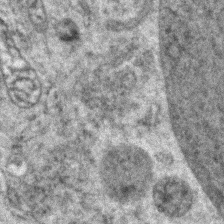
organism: Zebrafish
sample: Zebrafish embryo